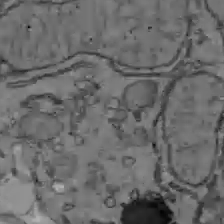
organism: C57BL Mouse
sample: Liver